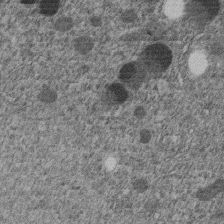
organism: C. elegans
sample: C. elegans embryo early stage